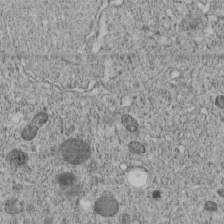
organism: C. elegans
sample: C. elegans embryo early stage